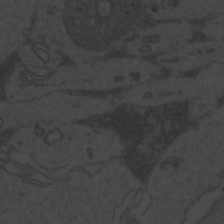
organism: Zebrafish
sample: Macrophage infected with Toxoplasma gondii